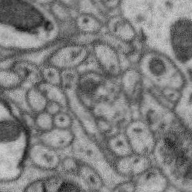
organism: Zebra finch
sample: Brain